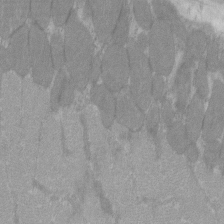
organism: C57BL Mouse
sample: Tibialis anterior muscle cell